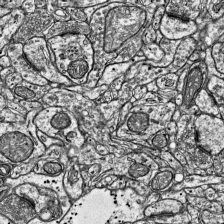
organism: Mouse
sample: Visual Cortex